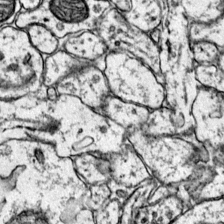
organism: Mouse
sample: Primary visual cortex